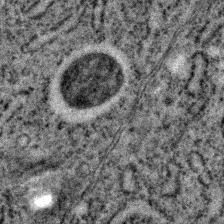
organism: C. elegans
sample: C. elegans embryo